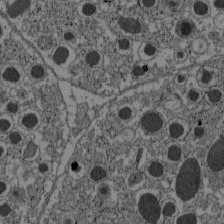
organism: C57BL Mouse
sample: Pancreatic islet